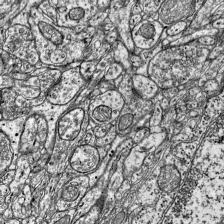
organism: Mouse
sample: Visual Cortex